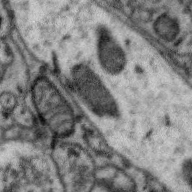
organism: Zebra finch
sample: Brain